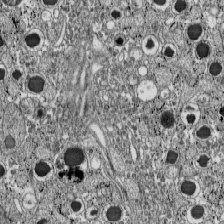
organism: C57BL Mouse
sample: Pancreatic islet